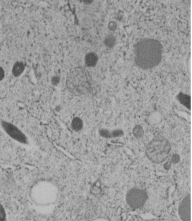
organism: C. elegans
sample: C. elegans embryo early stage